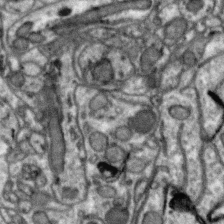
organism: Zebra finch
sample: Brain